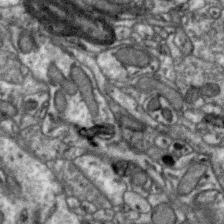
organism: Zebra finch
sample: Brain